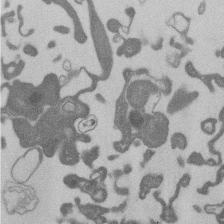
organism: Mouse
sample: Dividing mouse embryo 1 cell stage